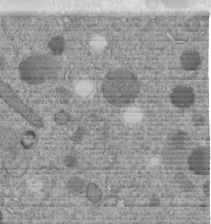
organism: C. elegans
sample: C. elegans embryo early stage